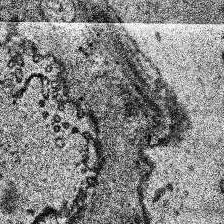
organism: Human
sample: Temporal Lobe